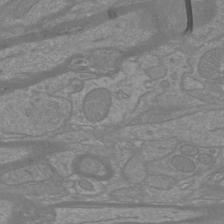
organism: Mouse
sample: Cortical neurons